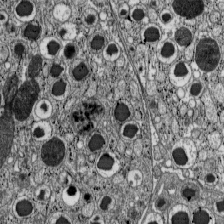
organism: C57BL Mouse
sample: Pancreatic islet